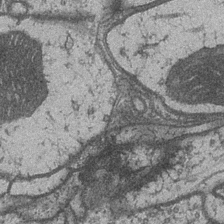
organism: Drosophila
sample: Optic medulla